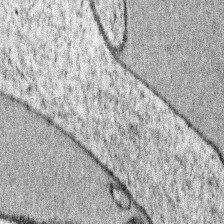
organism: Human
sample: HeLa cells